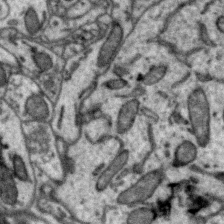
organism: Zebra finch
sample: Brain